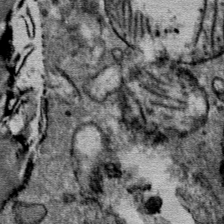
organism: Mouse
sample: Mouse Salivary gland